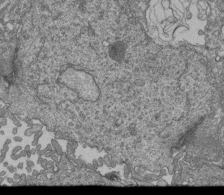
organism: Human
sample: Retinal organoid Rod and Cone cells